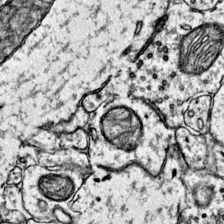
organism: Mouse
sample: Primary visual cortex